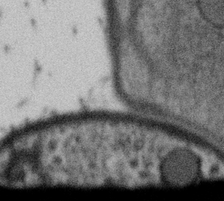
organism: Gemmata obscuriglobus